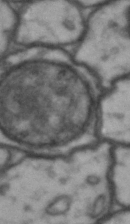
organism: Drosophila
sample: Brain